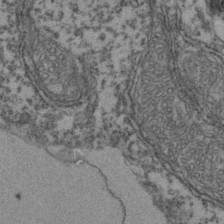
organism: Zebrafish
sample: Zebrafish embryo